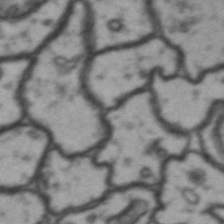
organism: Drosophila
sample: Brain